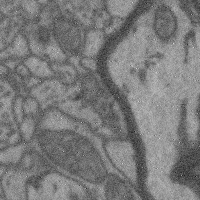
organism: Mouse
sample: Cerebral cortex